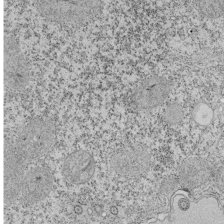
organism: Tetrahymena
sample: Cilia in tetrahymena